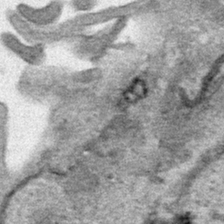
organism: Human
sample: Mitochondria in HCT116 cells